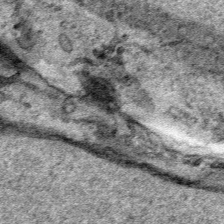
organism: Human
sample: Mitochondria in HCT116 cells